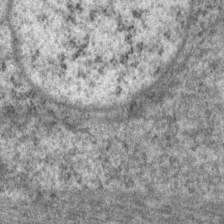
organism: P. pacificus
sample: Pharynx